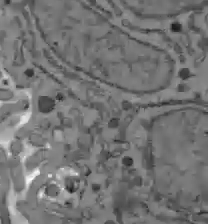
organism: C57BL Mouse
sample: Liver